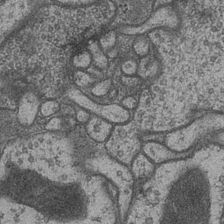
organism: Drosophila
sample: Optic medulla